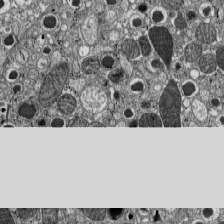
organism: C57BL Mouse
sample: Pancreatic islet